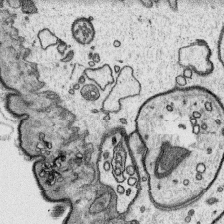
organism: Platynereis dumerilii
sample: Parapodia